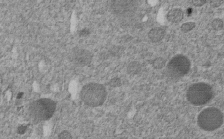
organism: C. elegans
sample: C. elegans embryo early stage